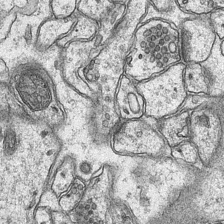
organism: Mouse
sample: CA1 Hippocampus